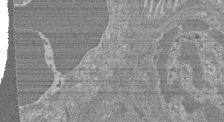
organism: Mouse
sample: Glomerulus